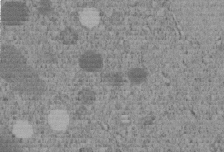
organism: C. elegans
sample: C. elegans embryo early stage